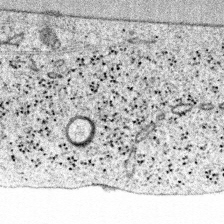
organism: Human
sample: HeLa cells